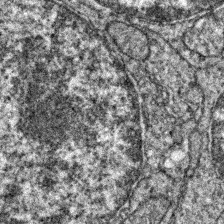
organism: Zebrafish